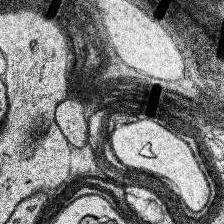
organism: Human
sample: Temporal Lobe